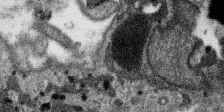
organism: Human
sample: Lung epithelial cells infected with SARS-CoV-2